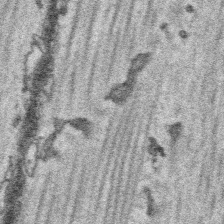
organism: Platynereis dumerilii